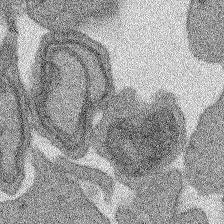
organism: Human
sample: HeLa cells